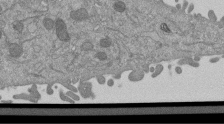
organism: Mouse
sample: ED-1 cell nuclei; centrioles